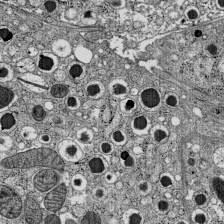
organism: C57BL Mouse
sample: Pancreatic islet